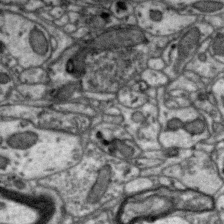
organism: Zebra finch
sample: Brain